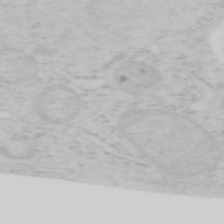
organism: Mouse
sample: OT-I killer T cells with ID8 ovarian cancer cells